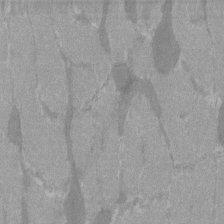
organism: C57BL Mouse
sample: Tibialis anterior muscle cell